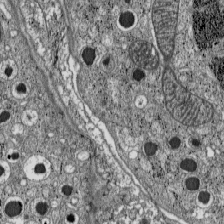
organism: C57BL Mouse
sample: Pancreatic islet